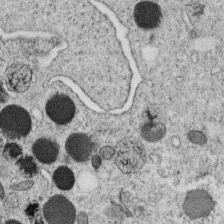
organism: C. elegans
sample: C. elegans oocyte; sperm cells